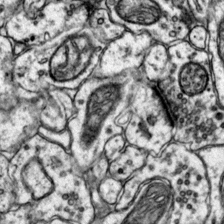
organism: Mouse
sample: Primary visual cortex